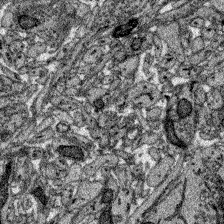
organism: Zebrafish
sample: Larval olfactory bulb